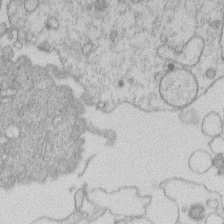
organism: Human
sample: Macrophage cells